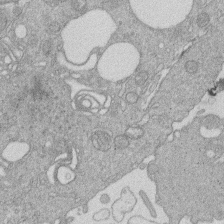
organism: Human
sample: Macrophage cells